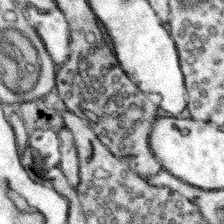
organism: Mouse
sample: Somatosensory cortex neuropil